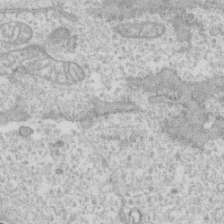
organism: Human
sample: CRL-1474